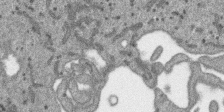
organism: Human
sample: Lung epithelial cells infected with SARS-CoV-2